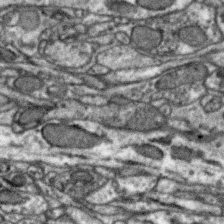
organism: Zebra finch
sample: Brain